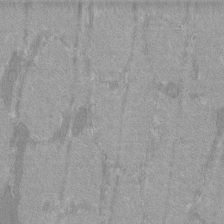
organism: C57BL Mouse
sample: Tibialis anterior muscle cell